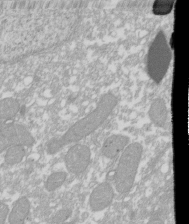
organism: Xenopus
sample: Cilia; centrioles in frog embryo cells